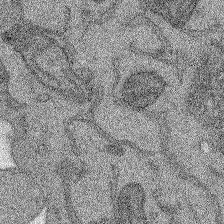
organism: Human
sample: HeLa cells